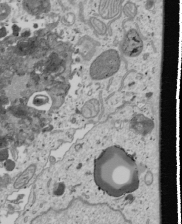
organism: Human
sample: Mitochondria in U2OS cells